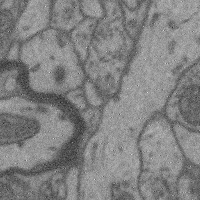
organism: Mouse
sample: Cerebral cortex